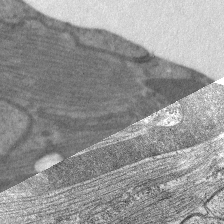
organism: C. elegans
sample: Pharynx